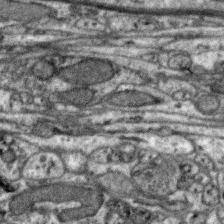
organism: Zebra finch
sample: Brain